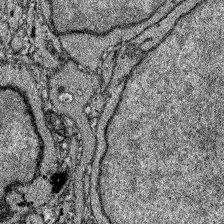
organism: Zebrafish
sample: Larval olfactory bulb